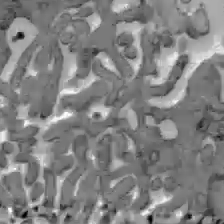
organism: C57BL Mouse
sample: Liver